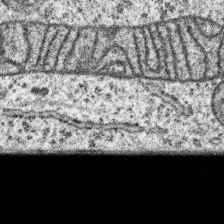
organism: Human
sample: HeLa cells